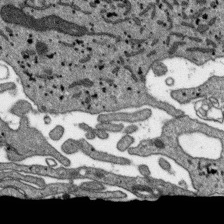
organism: Human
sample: Lung epithelial cells, uninfected (mock) control